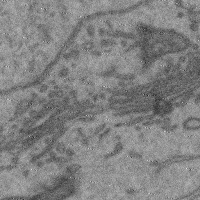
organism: Mouse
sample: Cerebral cortex